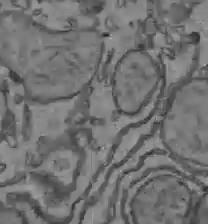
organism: C57BL Mouse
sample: Liver